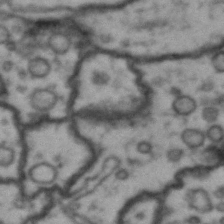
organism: Drosophila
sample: Brain